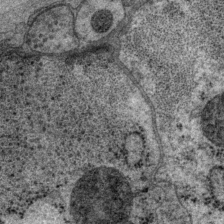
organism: P. pacificus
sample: Pharynx